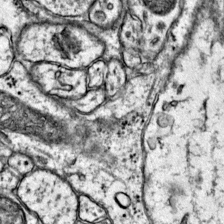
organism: Mouse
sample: Primary visual cortex